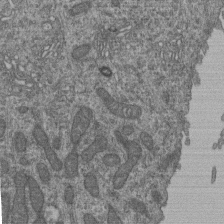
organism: Human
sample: Retinal organoid Rod and Cone cells